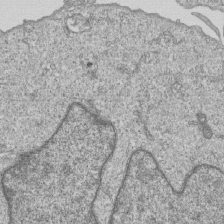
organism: Human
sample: MDA-MB-231 cells